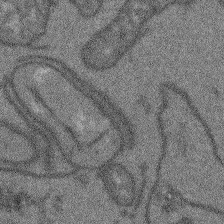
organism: Arabidopsis thaliana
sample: Root tip